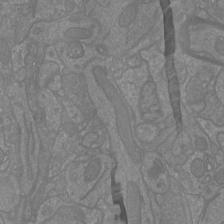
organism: Mouse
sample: Cortical neurons